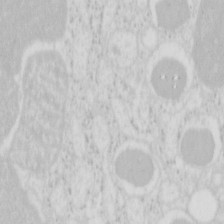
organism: Mouse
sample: Pancreas